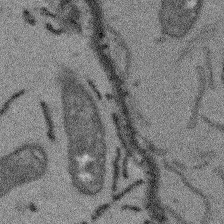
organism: Arabidopsis thaliana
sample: Root tip